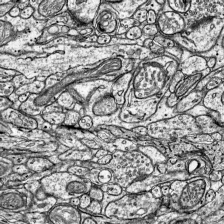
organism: Mouse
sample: Visual Cortex